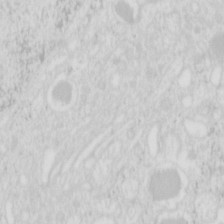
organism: Mouse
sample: Pancreas